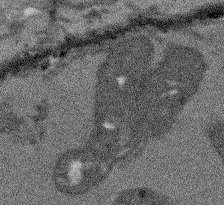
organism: Arabidopsis thaliana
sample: Root tip